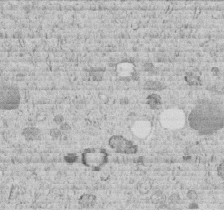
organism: C. elegans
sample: C. elegans embryo early stage